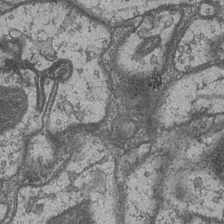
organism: Drosophila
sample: Optic medulla